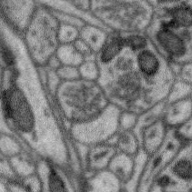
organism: Zebra finch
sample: Brain